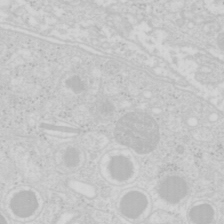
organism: Mouse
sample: Pancreas